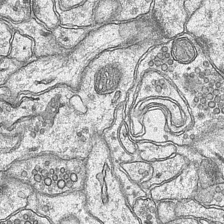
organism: Mouse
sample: CA1 Hippocampus